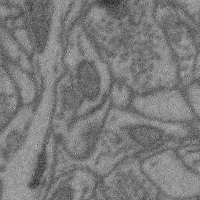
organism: Mouse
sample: Cerebral cortex